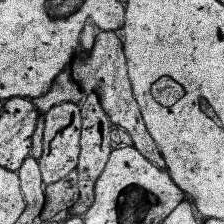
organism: Human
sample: Temporal Lobe